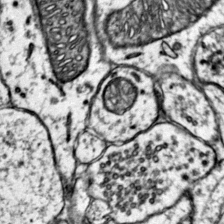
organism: Mouse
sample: Primary visual cortex